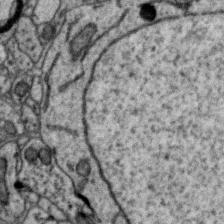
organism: Zebra finch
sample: Brain